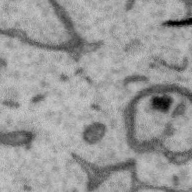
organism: Zebra finch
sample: Brain